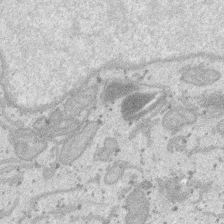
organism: Human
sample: Lung epithelial cells infected with SARS-CoV-2